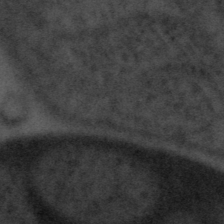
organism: Tuwongella immobilis